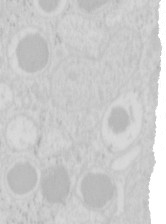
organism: Mouse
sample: Pancreas